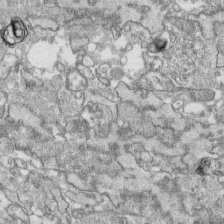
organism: Human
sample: CRL-1474